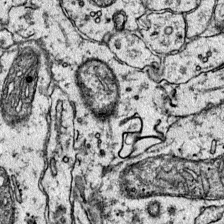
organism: Mouse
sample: Primary visual cortex